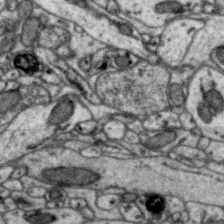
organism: Zebra finch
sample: Brain